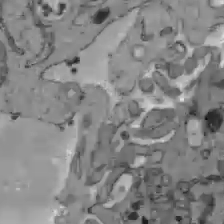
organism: C57BL Mouse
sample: Liver